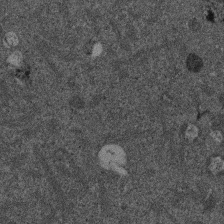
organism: Mouse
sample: Dividing mouse embryo 1 cell stage